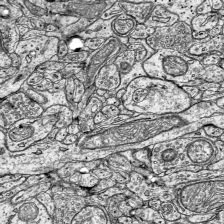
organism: Mouse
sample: Visual Cortex